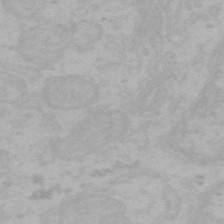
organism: Mouse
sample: Choroid plexus